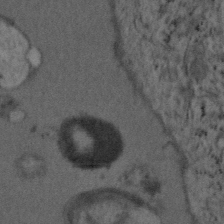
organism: Human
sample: HeLa cells